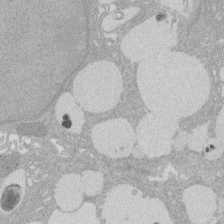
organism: Rat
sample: Salivary granule